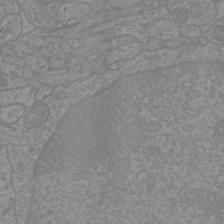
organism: Mouse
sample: Cortical neurons